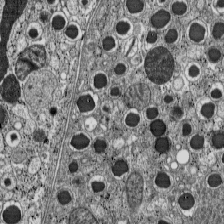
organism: C57BL Mouse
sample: Pancreatic islet